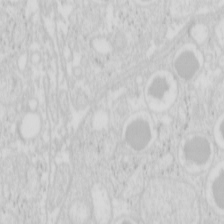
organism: Mouse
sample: Pancreas